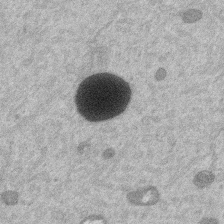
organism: Mouse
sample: Dividing mouse embryo 1 cell stage